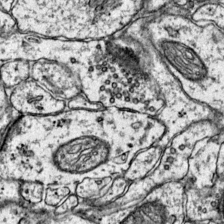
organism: Mouse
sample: Primary visual cortex